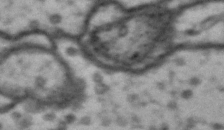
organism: Drosophila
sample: Brain